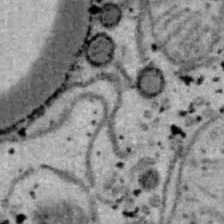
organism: Mouse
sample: Liver from an obese (ob/ob) mouse